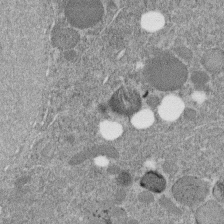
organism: C. elegans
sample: C. elegans embryo early stage